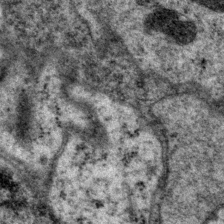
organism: P. pacificus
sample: Pharynx